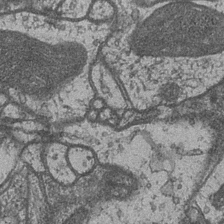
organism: Drosophila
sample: Optic medulla